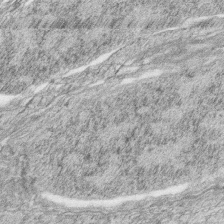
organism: Zebrafish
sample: synaptic ribbons in rod cells and cone cells